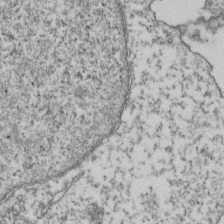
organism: Human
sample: Activated Jurkat CD4+ T cells